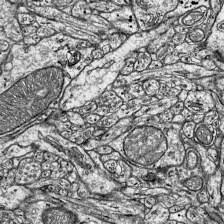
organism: Mouse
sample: Visual Cortex